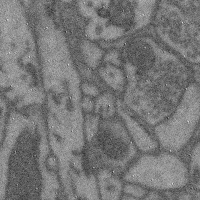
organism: Mouse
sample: Cerebral cortex